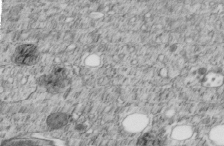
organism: C. elegans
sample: C. elegans embryo early stage